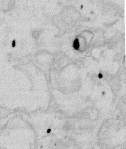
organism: Mouse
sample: T cell stromal cell synapse